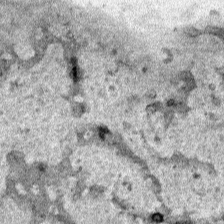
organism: Human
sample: Mitochondria in HCT116 cells